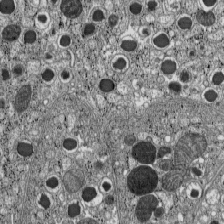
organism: C57BL Mouse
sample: Pancreatic islet